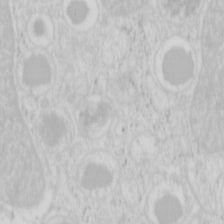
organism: Mouse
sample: Pancreas